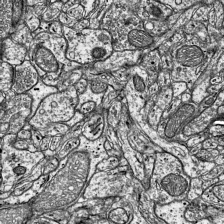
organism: Mouse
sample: Visual Cortex